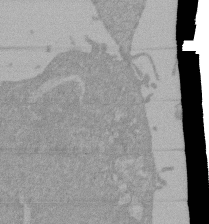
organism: Mouse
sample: ED-1 cell nuclei; centrioles